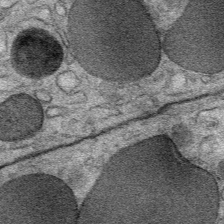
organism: Mouse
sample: Mouse Salivary gland